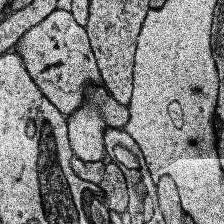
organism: Human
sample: Temporal Lobe